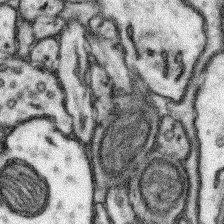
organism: Mouse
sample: Somatosensory cortex neuropil